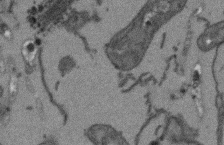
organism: Arabidopsis thaliana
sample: Root tip